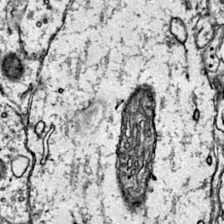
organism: Mouse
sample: Primary visual cortex